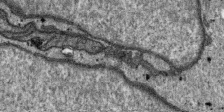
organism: Human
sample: Lung epithelial cells, uninfected (mock) control